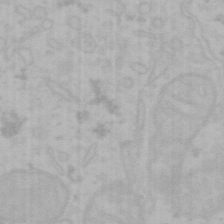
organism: Mouse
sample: Choroid plexus